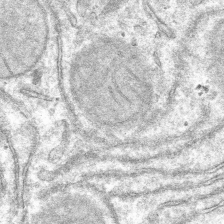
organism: Mouse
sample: Mouse hepatocytes